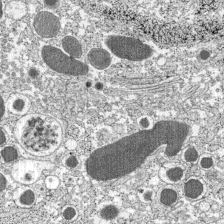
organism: C57BL Mouse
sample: Pancreatic islet